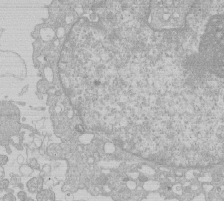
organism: Human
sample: Macrophage cells